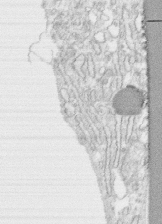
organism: Human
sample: CRL-1474